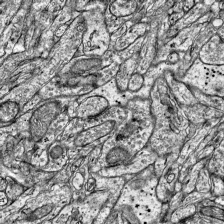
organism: Mouse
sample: Visual Cortex